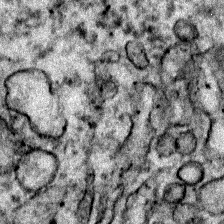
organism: Zebrafish